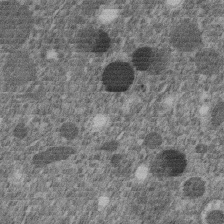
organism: C. elegans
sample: C. elegans embryo early stage